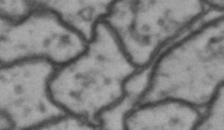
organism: Drosophila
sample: Brain